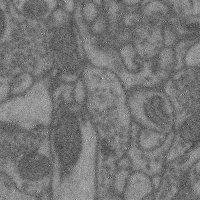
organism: Mouse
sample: Cerebral cortex